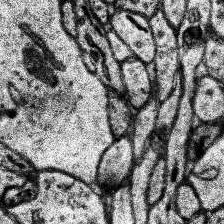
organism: Human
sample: Temporal Lobe